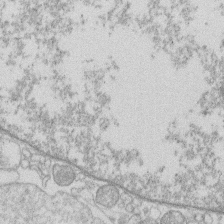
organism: Human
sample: Macrophage cells